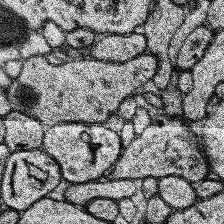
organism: Human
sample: Temporal Lobe